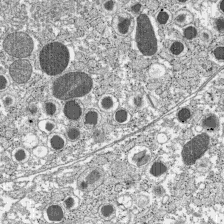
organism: C57BL Mouse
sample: Pancreatic islet